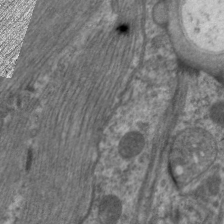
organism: C. elegans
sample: Pharynx